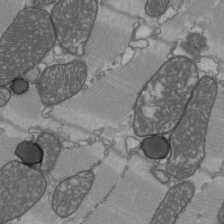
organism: C57BL Mouse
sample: Heart